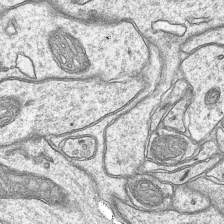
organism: Mouse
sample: CA1 Hippocampus